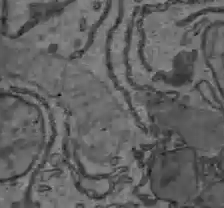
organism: C57BL Mouse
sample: Liver